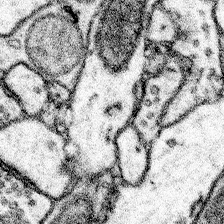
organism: Mouse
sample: Somatosensory cortex neuropil